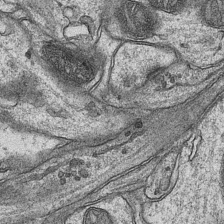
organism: Mouse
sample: CA1 Hippocampus